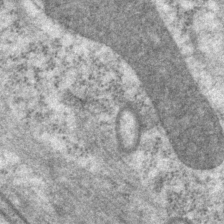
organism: P. pacificus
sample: Pharynx